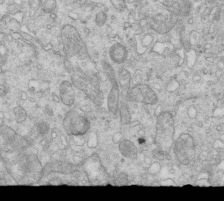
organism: Mouse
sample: Multiciliated cells